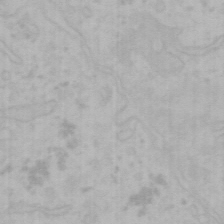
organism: Mouse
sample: Choroid plexus